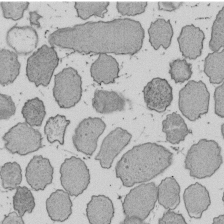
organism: E. coli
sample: Bacterial nucleoid